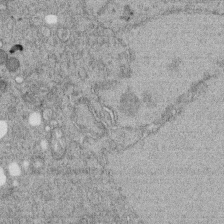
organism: C. elegans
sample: C. elegans embryo early stage